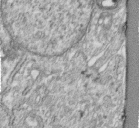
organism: Human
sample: Centriole in fibroblast cells